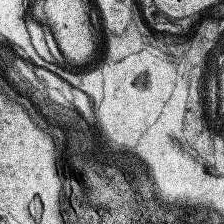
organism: Human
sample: Temporal Lobe